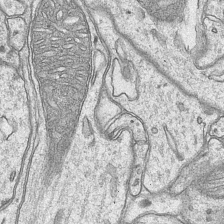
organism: Mouse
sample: CA1 Hippocampus